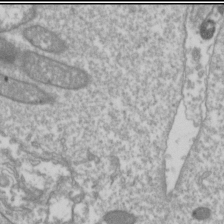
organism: Drosophila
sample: Cell division; meiosis; drosophila spermatocytes